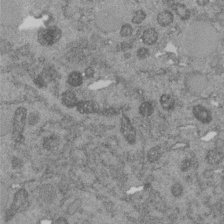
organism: C. elegans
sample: C. elegans embryo early stage